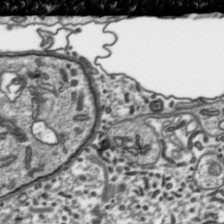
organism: Toxoplasma gondii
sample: Parasites in a vacuole inside a host cell